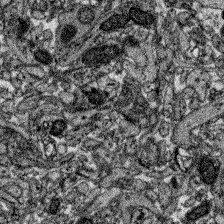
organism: Zebrafish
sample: Larval olfactory bulb